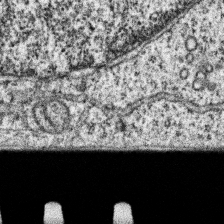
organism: Human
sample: HeLa cells